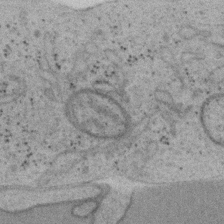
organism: Human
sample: HeLa cells